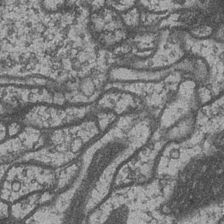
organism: Drosophila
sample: Optic medulla